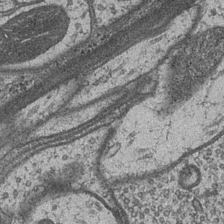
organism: Drosophila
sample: Optic medulla